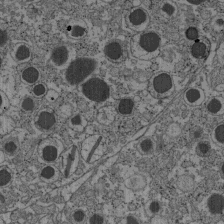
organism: C57BL Mouse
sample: Pancreatic islet